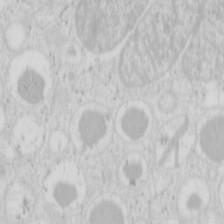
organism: Mouse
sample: Pancreas